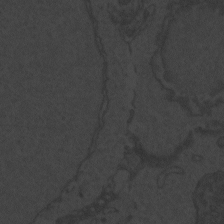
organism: Zebrafish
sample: Macrophage infected with Toxoplasma gondii